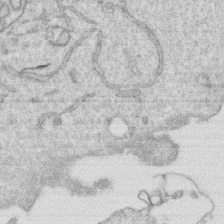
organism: Human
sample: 1205lu cells